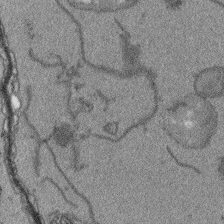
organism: Arabidopsis thaliana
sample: Root tip